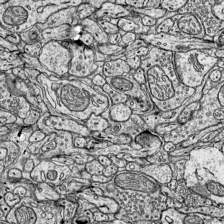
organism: Mouse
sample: Visual Cortex